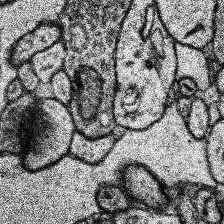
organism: Human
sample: Temporal Lobe